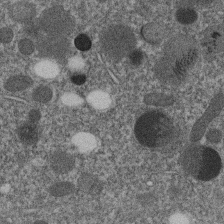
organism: C. elegans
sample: C. elegans embryo early stage